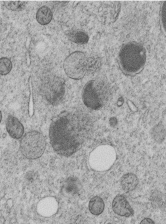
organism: C. elegans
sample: C. elegans embryo early stage